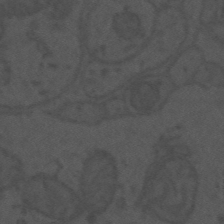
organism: Mouse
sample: Suprachiasmatic nucleus